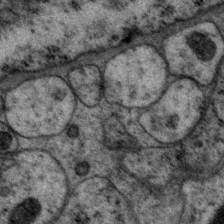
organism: P. pacificus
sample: Pharynx